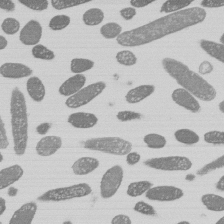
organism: E. coli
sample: Bacterial nucleoid